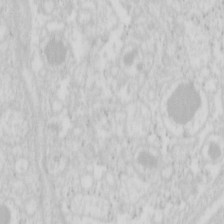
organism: Mouse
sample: Pancreas